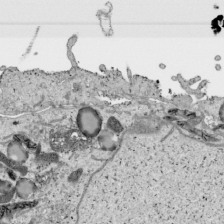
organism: Human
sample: Mitochondria in HCT116 cells